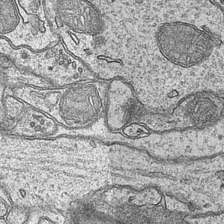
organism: Mouse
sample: CA1 Hippocampus